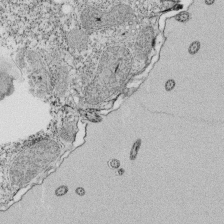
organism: Tetrahymena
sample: Cilia in tetrahymena